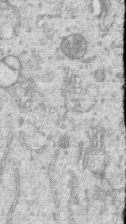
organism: Human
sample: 1205lu cells